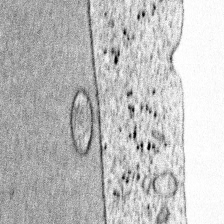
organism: Human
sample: HeLa cells